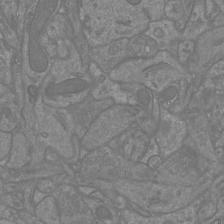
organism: Mouse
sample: Cortical neurons